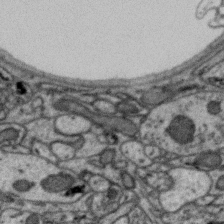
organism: Zebra finch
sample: Brain